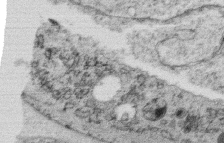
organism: C. elegans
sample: C. elegans oocyte; sperm cells